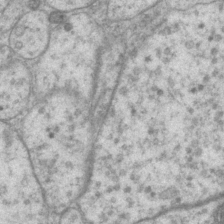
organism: P. pacificus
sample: Pharynx